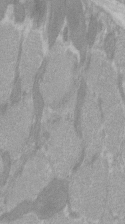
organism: C57BL Mouse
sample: Tibialis anterior muscle cell